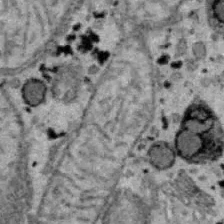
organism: Mouse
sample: Liver from an obese (ob/ob) mouse